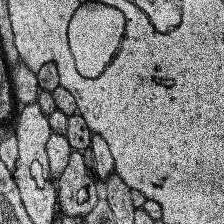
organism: Human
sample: Temporal Lobe